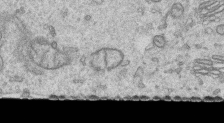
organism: Human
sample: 1205lu cells